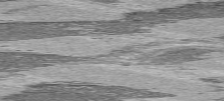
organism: C57BL Mouse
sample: Heart